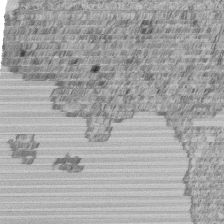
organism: Human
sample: MDA-MB-231 cells